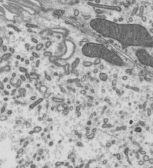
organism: Mouse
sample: Mouse epididymis efferent ductule cilia